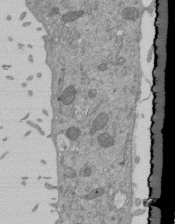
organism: Mouse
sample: ED-1 cell nuclei; centrioles